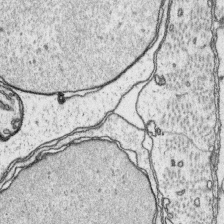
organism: Platynereis dumerilii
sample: Parapodia